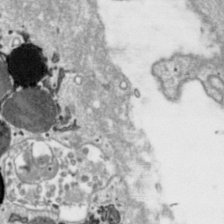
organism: Toxoplasma gondii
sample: Parasites in a vacuole inside a host cell